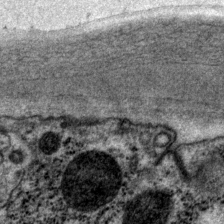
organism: P. pacificus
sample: Pharynx